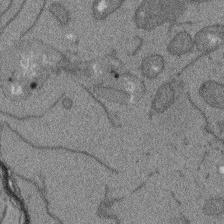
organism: Arabidopsis thaliana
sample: Root tip